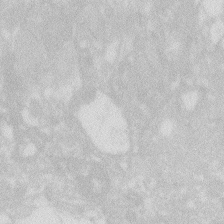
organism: Zebrafish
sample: Macrophage